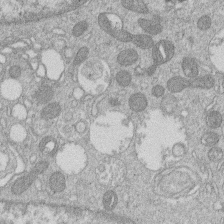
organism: Human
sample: Macrophage cells